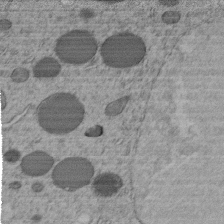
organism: C. elegans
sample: C. elegans embryo early stage